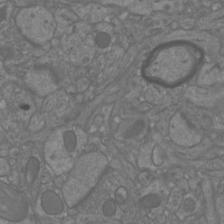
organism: Mouse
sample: Cortical neurons